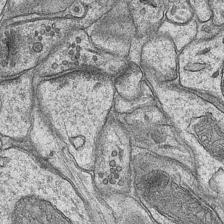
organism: Mouse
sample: CA1 Hippocampus